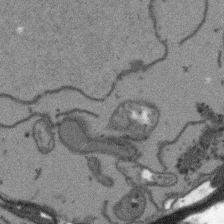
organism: Arabidopsis thaliana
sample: Root tip